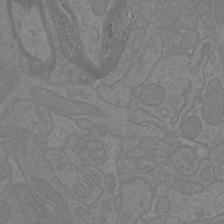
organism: Mouse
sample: Cortical neurons